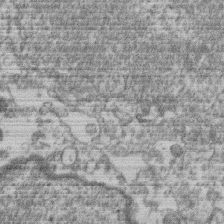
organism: Mouse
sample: T cell stromal cell synapse